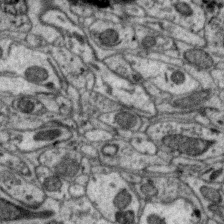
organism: Zebra finch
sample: Brain